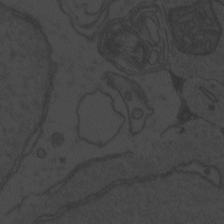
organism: Zebrafish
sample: Macrophage infected with Toxoplasma gondii